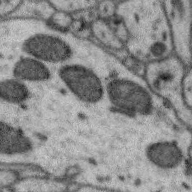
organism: Zebra finch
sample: Brain